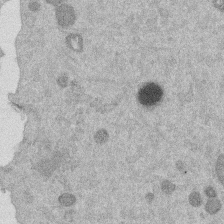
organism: Mouse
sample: Dividing mouse embryo 1 cell stage